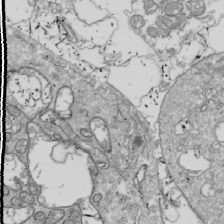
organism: Drosophila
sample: Cell division; meiosis; drosophila spermatocytes